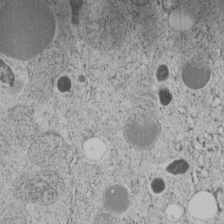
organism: C. elegans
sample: C. elegans embryo early stage